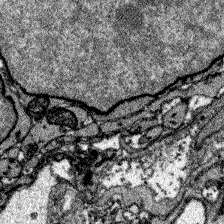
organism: Zebrafish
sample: Larval olfactory bulb